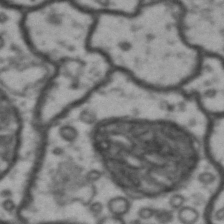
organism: Drosophila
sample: Brain